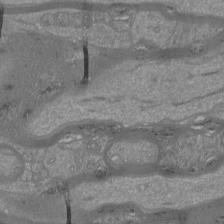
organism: Mouse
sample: Cortical neurons